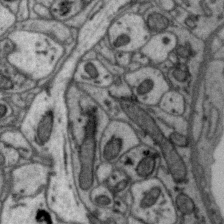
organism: Zebra finch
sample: Brain